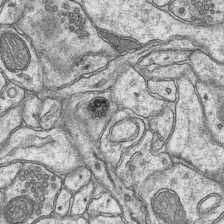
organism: Mouse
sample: CA1 Hippocampus